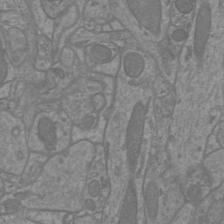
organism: Mouse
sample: Cortical neurons